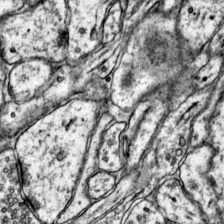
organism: Mouse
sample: Primary visual cortex